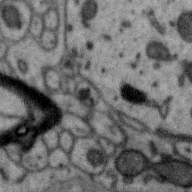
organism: Zebra finch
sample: Brain